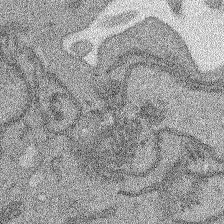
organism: Human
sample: HeLa cells